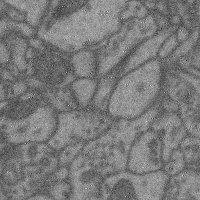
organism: Mouse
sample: Cerebral cortex